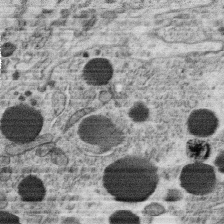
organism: C. elegans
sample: C. elegans oocyte; sperm cells